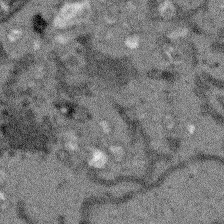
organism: Arabidopsis thaliana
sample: Root tip